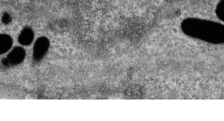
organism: Zebrafish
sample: Cilia; retinal pigment epithelium